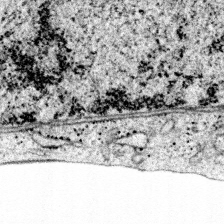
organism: Human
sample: HeLa cells